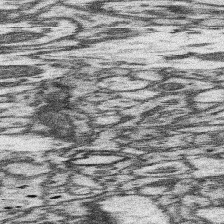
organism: Mouse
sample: Somatosensory cortex neuropil